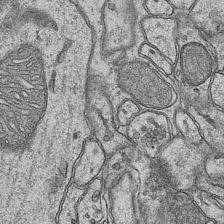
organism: Mouse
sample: CA1 Hippocampus